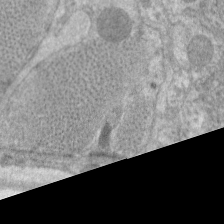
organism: C. elegans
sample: Pharynx